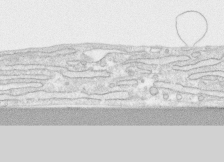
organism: Human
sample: CRL-1474